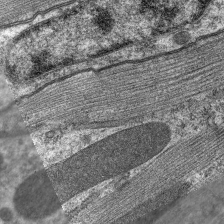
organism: C. elegans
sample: Pharynx